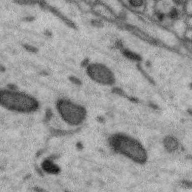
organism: Zebra finch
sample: Brain